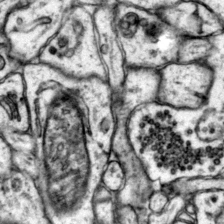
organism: Mouse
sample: Primary visual cortex